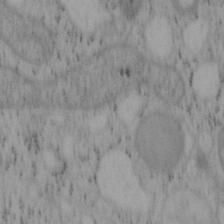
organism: Mouse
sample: OT-I killer T cells with ID8 ovarian cancer cells